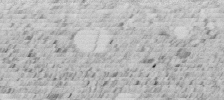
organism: C. elegans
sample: C. elegans embryo early stage